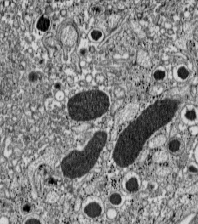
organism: C57BL Mouse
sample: Pancreatic islet